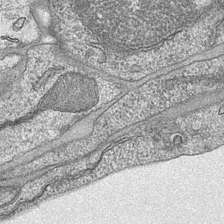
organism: Mouse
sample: CA1 Hippocampus